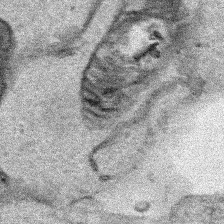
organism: Human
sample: Mitochondria in HCT116 cells